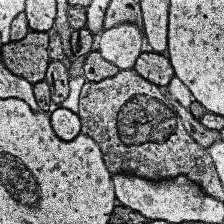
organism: Human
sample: Temporal Lobe